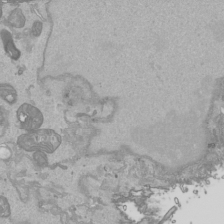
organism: Human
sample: Mitochondria in HCT116 cells